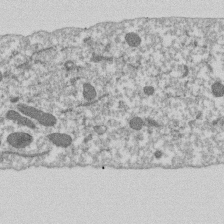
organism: Dictyostelium discoideum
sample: Dictyostelium multivesicular bodies